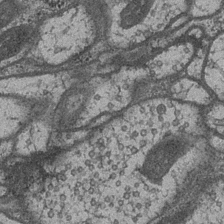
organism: Drosophila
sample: Optic medulla